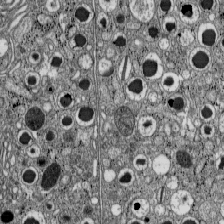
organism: C57BL Mouse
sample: Pancreatic islet